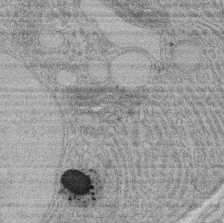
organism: Rat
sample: Salivary granule